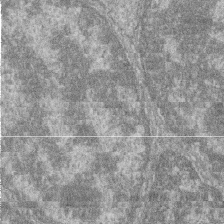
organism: Zebrafish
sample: Cilia; retinal pigment epithelium